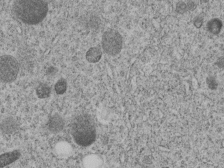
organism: C. elegans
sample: C. elegans embryo early stage